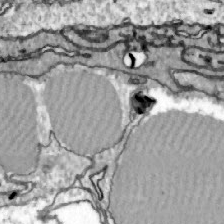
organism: Zebrafish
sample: Actinotrichia fibers